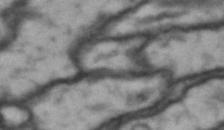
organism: Drosophila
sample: Brain